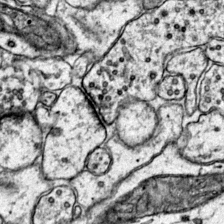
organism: Mouse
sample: Primary visual cortex